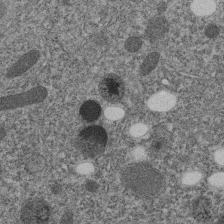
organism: C. elegans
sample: C. elegans embryo early stage